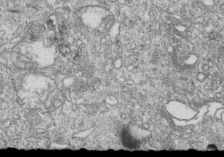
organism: Human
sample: HeLa cell HIV synapse